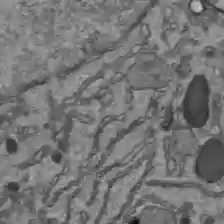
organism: C57BL Mouse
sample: Liver